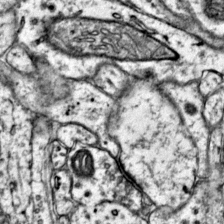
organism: Mouse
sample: Primary visual cortex